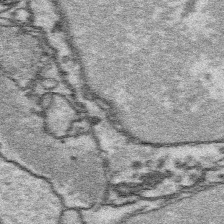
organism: Platynereis dumerilii